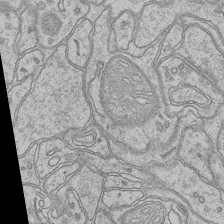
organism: Mouse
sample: CA1 Hippocampus